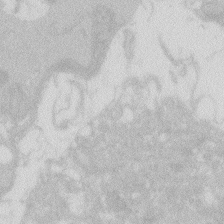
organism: Zebrafish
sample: Macrophage